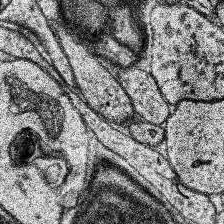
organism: Human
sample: Temporal Lobe